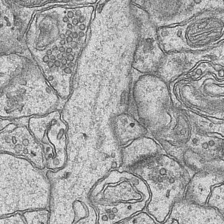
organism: Mouse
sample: CA1 Hippocampus